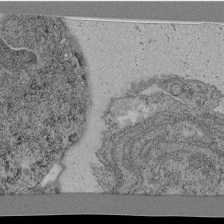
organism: C. elegans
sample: C. elegans pharynx